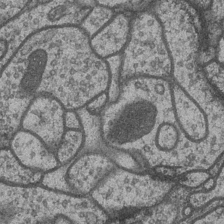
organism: Drosophila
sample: Optic medulla